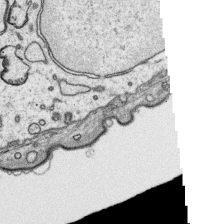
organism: Platynereis dumerilii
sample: Parapodia